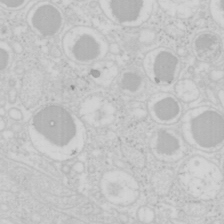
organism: Mouse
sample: Pancreas